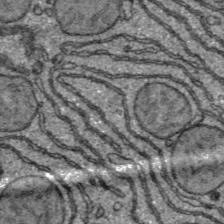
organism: C57BL Mouse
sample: Liver